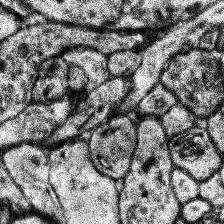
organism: Human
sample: Temporal Lobe